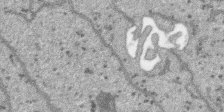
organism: Human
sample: Lung epithelial cells infected with SARS-CoV-2